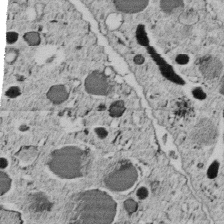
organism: C. elegans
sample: C. elegans embryo early stage